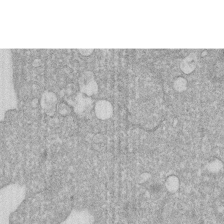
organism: Human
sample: HIV infected U937 cells